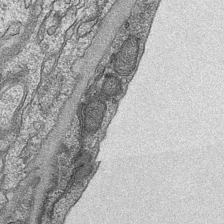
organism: Mouse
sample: CA1 Hippocampus